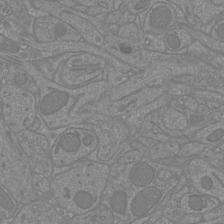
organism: Mouse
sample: Cortical neurons